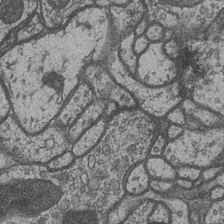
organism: Drosophila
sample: Optic medulla